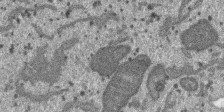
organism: Human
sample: Lung epithelial cells infected with SARS-CoV-2